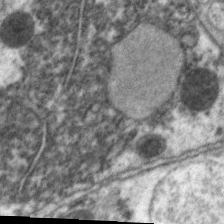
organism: C. elegans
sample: Pharynx